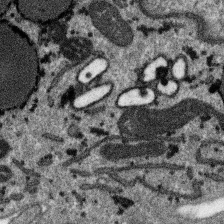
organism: Human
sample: Lung epithelial cells infected with SARS-CoV-2